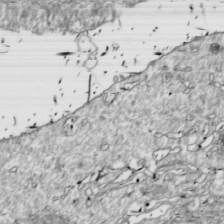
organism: Drosophila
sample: Cell division; meiosis; drosophila spermatocytes